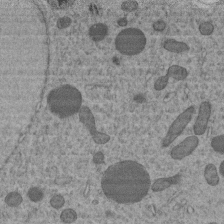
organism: C. elegans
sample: C. elegans embryo early stage